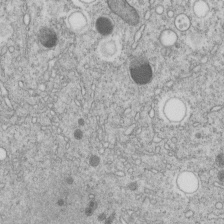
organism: C. elegans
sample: C. elegans embryo early stage